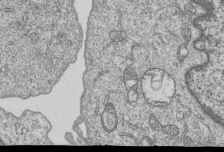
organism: Human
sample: MDA-MB-231 cells